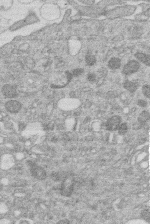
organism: Human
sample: Macrophage cells